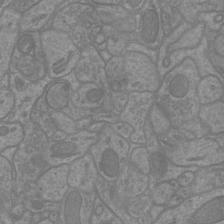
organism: Mouse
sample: Cortical neurons